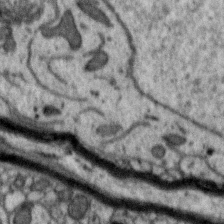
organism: Zebra finch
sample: Brain